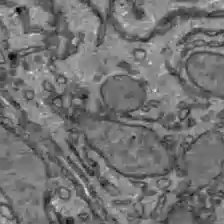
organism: C57BL Mouse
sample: Liver